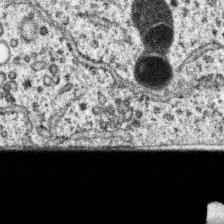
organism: Human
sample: HeLa cells